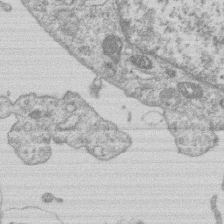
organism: Human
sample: Macrophage cells